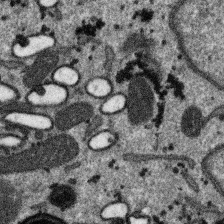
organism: Human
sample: Lung epithelial cells infected with SARS-CoV-2